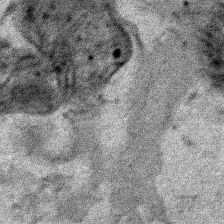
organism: Human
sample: Mitochondria in HCT116 cells